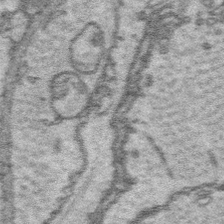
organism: Platynereis dumerilii